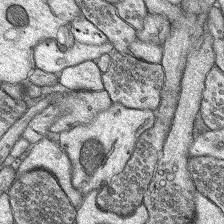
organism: Rat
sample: Hippocampus